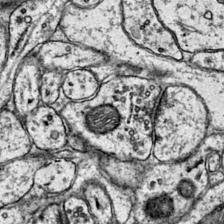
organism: Mouse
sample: Primary visual cortex